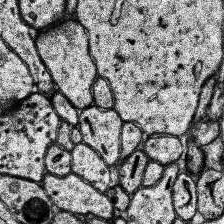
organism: Human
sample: Temporal Lobe